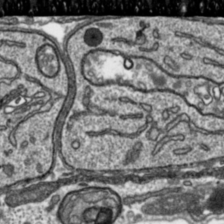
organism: Toxoplasma gondii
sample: Parasites in a vacuole inside a host cell